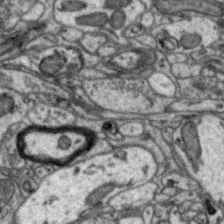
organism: Zebra finch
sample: Brain